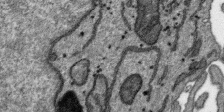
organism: Human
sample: Lung epithelial cells, uninfected (mock) control